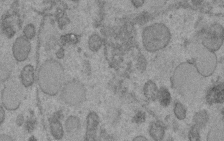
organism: C. elegans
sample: C. elegans embryo early stage